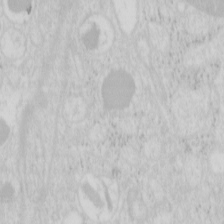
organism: Mouse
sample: Pancreas